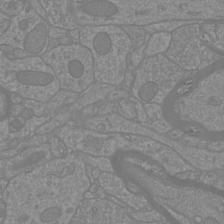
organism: Mouse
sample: Cortical neurons